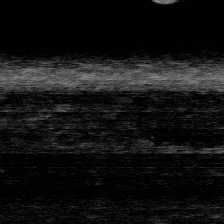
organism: Human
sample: HeLa cells